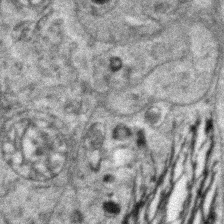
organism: Zebrafish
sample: Zebrafish embryo